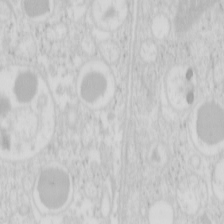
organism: Mouse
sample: Pancreas